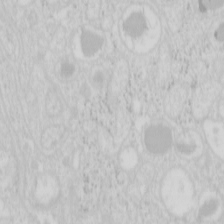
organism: Mouse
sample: Pancreas